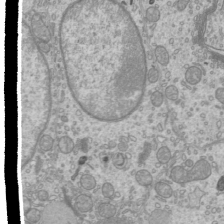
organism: Mouse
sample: Cilia; mouse epididymis